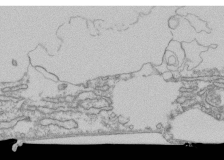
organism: Human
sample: Fibroblast cells